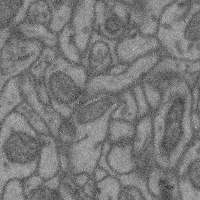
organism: Mouse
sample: Cerebral cortex